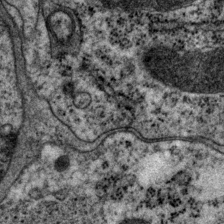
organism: P. pacificus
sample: Pharynx